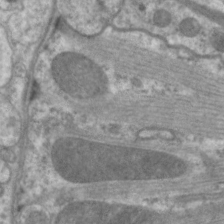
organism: C. elegans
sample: Pharynx